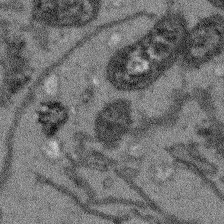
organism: Arabidopsis thaliana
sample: Root tip